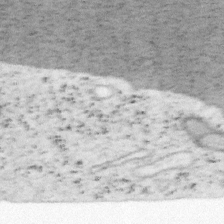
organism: Mouse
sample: OT-I killer T cells with ID8 ovarian cancer cells